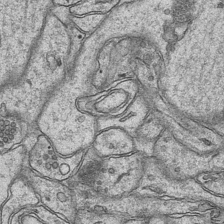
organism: Mouse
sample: CA1 Hippocampus